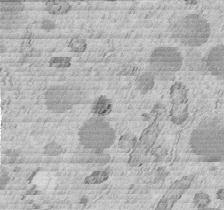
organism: C. elegans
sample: C. elegans embryo early stage